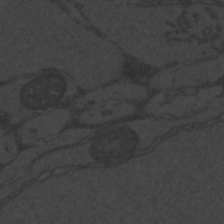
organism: Zebrafish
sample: Macrophage infected with Toxoplasma gondii